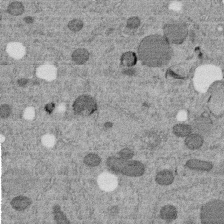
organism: C. elegans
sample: C. elegans embryo early stage